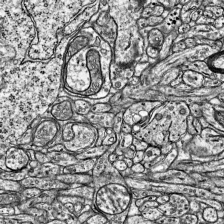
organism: Mouse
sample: Visual Cortex